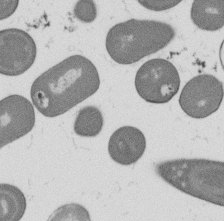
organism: B. subtilis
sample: Bacterial spore